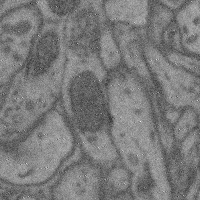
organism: Mouse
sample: Cerebral cortex